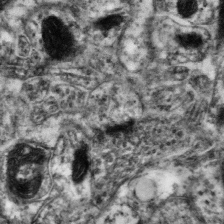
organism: Mouse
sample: Neocortex